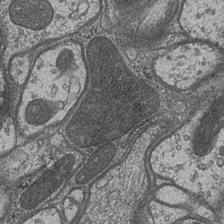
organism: Drosophila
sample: Optic medulla